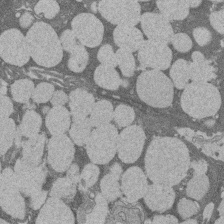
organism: Rat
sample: Salivary granule